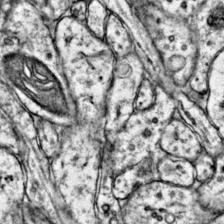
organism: Mouse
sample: Primary visual cortex